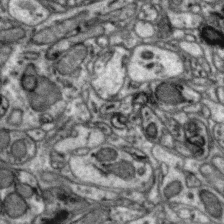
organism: Zebra finch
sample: Brain